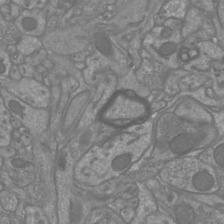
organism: Mouse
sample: Cortical neurons